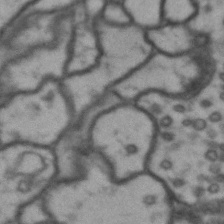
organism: Drosophila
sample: Brain